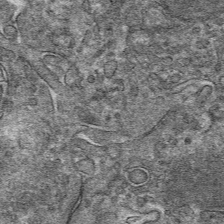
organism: Mouse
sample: Mouse hepatocytes